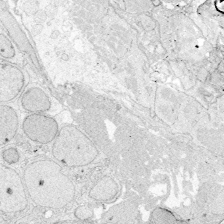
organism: Zebrafish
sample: Whole-Brain